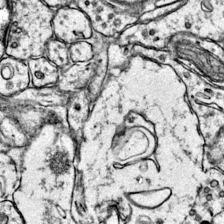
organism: Mouse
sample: Primary visual cortex